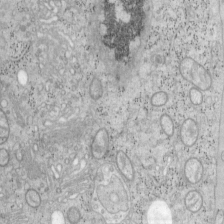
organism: Mouse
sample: OT-I killer T cells with ID8 ovarian cancer cells